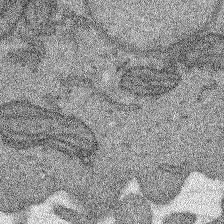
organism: Human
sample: HeLa cells